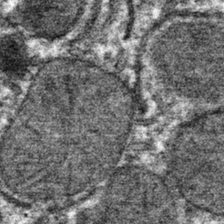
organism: Mouse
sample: Mouse hepatocytes